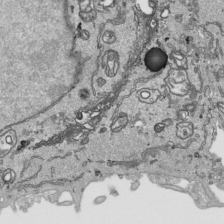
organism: Human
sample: Mitochondria in HCT116 cells